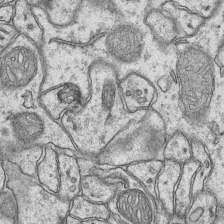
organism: Mouse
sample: CA1 Hippocampus